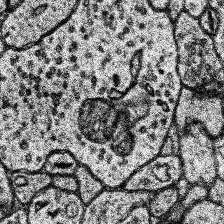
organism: Human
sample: Temporal Lobe